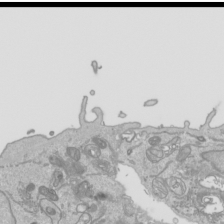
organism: Human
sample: Mitochondria in HCT116 cells